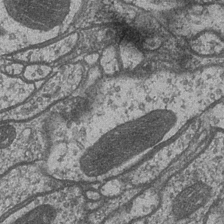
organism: Drosophila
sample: Optic medulla